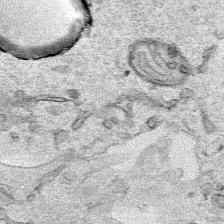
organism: Human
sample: Mitochondria in HCT116 cells